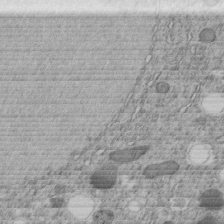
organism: C. elegans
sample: C. elegans embryo early stage